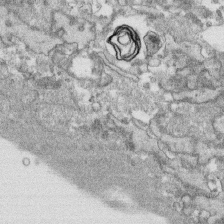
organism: Human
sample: CRL-1474